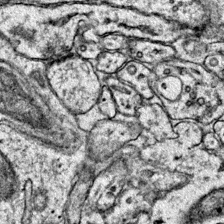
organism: Mouse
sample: Primary visual cortex